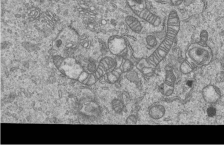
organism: Human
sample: MDA-MB-231 cells